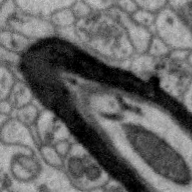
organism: Zebra finch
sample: Brain